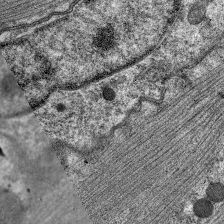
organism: C. elegans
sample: Pharynx